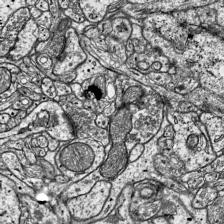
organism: Mouse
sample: Visual Cortex